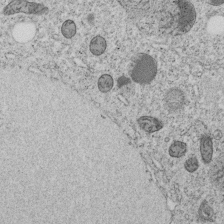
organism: C. elegans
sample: C. elegans embryo early stage